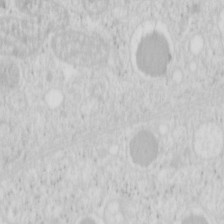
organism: Mouse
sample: Pancreas